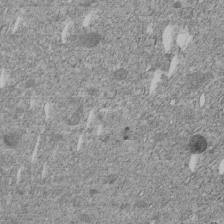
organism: C. elegans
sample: C. elegans embryo early stage